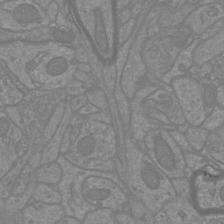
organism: Mouse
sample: Cortical neurons